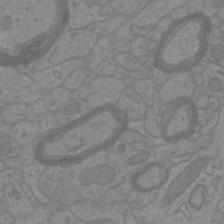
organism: Mouse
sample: Cortical neurons